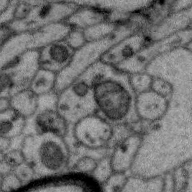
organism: Zebra finch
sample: Brain